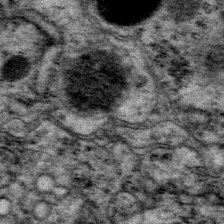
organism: P. pacificus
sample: Pharynx